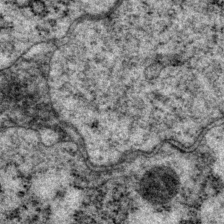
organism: P. pacificus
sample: Pharynx